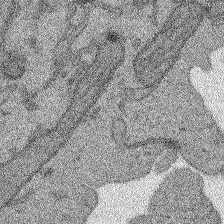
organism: Human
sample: HeLa cells